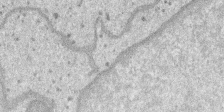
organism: Human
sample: Lung epithelial cells infected with SARS-CoV-2